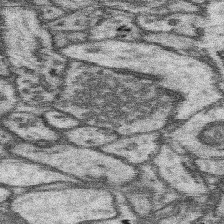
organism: Mouse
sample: Somatosensory cortex neuropil